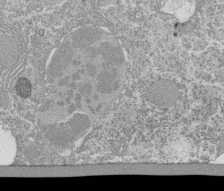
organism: Tetrahymena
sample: Cilia in tetrahymena